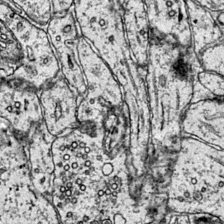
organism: Mouse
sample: Primary visual cortex